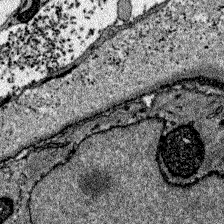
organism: Zebrafish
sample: Larval olfactory bulb